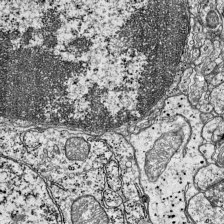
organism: Mouse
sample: Visual Cortex